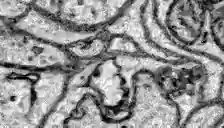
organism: Zebrafish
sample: Brain